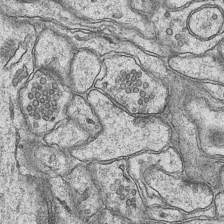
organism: Mouse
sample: CA1 Hippocampus